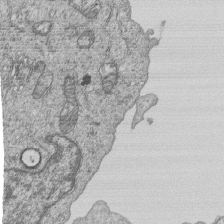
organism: Human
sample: MDA-MB-231 cells